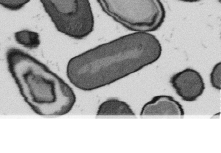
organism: B. subtilis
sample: Bacterial spore